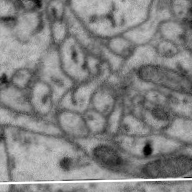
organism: Zebra finch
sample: Brain